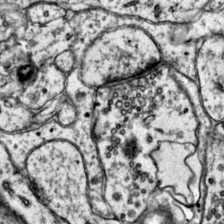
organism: Mouse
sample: Primary visual cortex